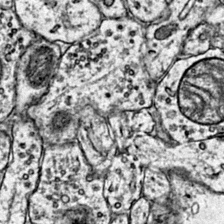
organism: Mouse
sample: Primary visual cortex